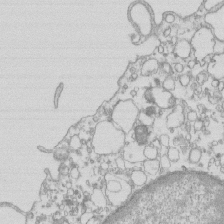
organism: Mouse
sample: Macrophages